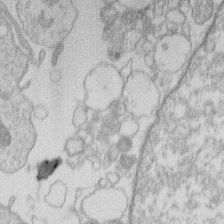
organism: Human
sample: Macrophage cells